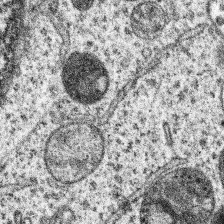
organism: Human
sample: HeLa cells